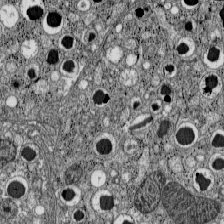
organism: C57BL Mouse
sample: Pancreatic islet